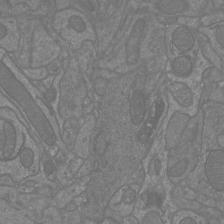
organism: Mouse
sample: Cortical neurons